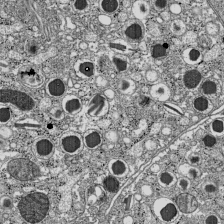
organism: C57BL Mouse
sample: Pancreatic islet